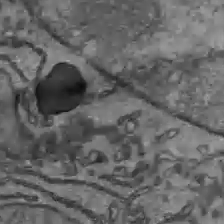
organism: C57BL Mouse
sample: Liver